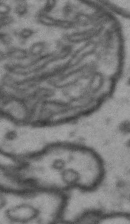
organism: Drosophila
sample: Brain